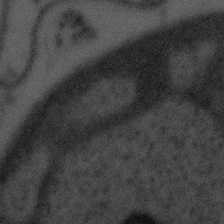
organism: Tuwongella immobilis